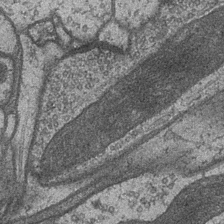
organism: Drosophila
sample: Optic medulla